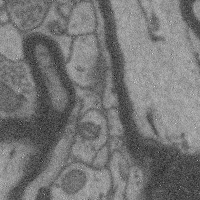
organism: Mouse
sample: Cerebral cortex